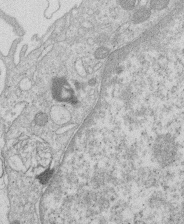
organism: Human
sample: Macrophage cells